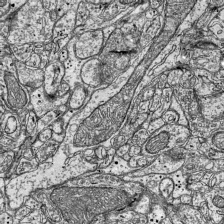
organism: Mouse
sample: Visual Cortex